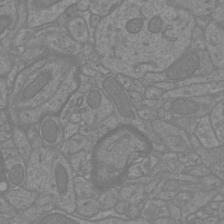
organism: Mouse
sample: Cortical neurons